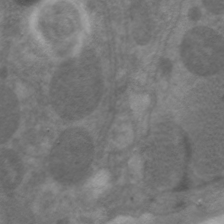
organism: C. elegans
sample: Pharynx